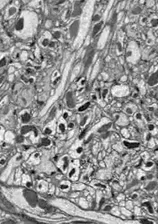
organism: Drosophila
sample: Optic lobe